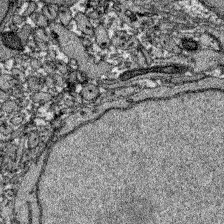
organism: Zebrafish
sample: Larval olfactory bulb